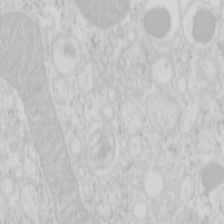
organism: Mouse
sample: Pancreas